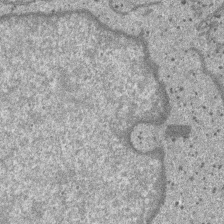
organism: Human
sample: Lung epithelial cells infected with SARS-CoV-2